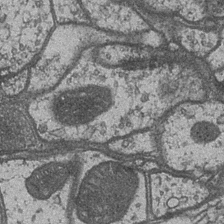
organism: Drosophila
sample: Optic medulla